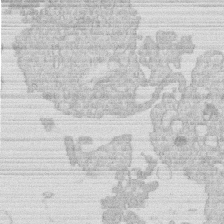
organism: Human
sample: Macrophage cells